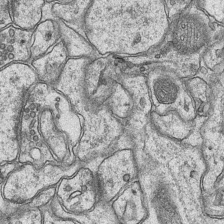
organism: Mouse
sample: CA1 Hippocampus